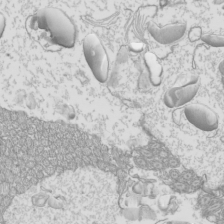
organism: Mouse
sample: Cilia; mouse epididymis